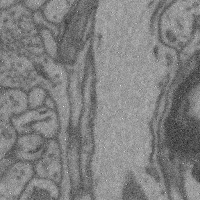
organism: Mouse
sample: Cerebral cortex